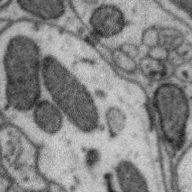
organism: Zebra finch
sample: Brain